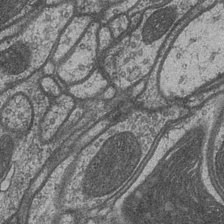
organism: Drosophila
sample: Optic medulla